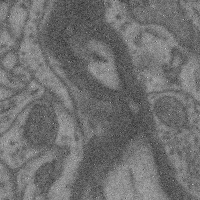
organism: Mouse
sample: Cerebral cortex